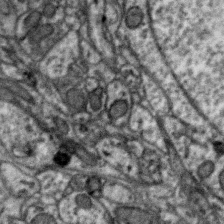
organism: Zebra finch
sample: Brain